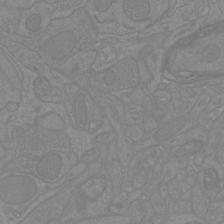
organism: Mouse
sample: Cortical neurons